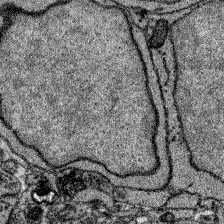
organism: Zebrafish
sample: Larval olfactory bulb